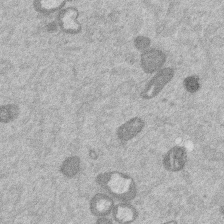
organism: Mouse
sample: Dividing mouse embryo 1 cell stage